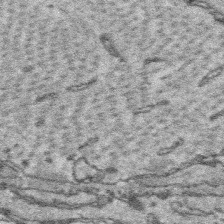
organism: Platynereis dumerilii